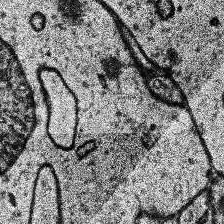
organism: Human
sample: Temporal Lobe